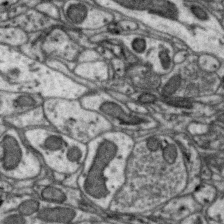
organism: Zebra finch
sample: Brain